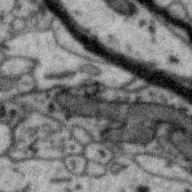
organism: Zebra finch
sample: Brain